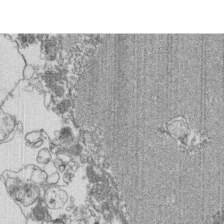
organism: Human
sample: HeLa cell HIV synapse